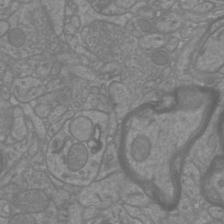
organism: Mouse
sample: Cortical neurons